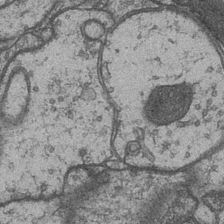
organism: Drosophila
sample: Optic medulla